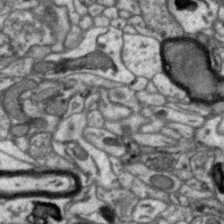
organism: Zebra finch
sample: Brain